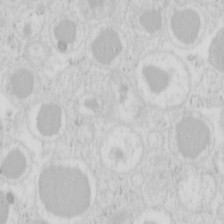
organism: Mouse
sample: Pancreas